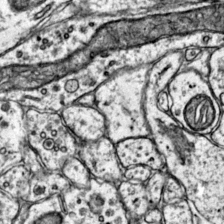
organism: Mouse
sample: Primary visual cortex